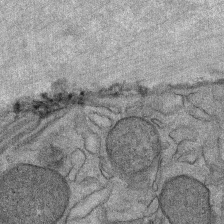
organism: Mouse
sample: Mouse Salivary gland